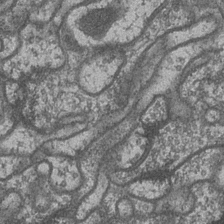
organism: Drosophila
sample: Optic medulla